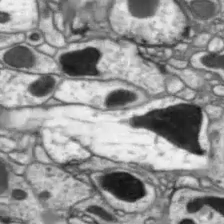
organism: Drosophila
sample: Optic lobe